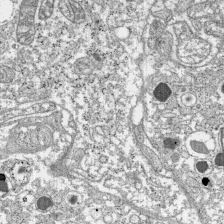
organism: C57BL Mouse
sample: Pancreatic islet